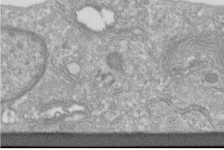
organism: Human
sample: Centriole in fibroblast cells